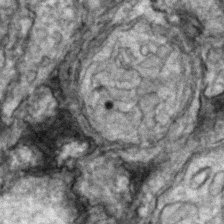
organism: Zebrafish